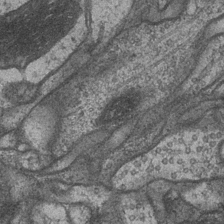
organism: Drosophila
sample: Optic medulla